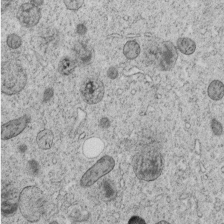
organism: C. elegans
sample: C. elegans embryo early stage